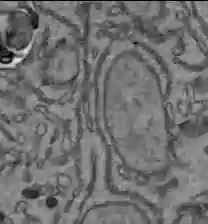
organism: C57BL Mouse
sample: Liver